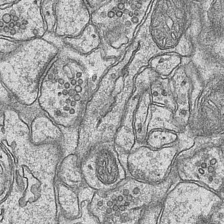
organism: Mouse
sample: CA1 Hippocampus